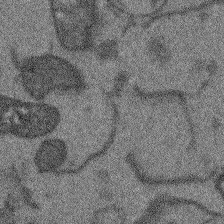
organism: Arabidopsis thaliana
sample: Root tip